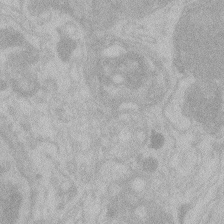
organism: Zebrafish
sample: Macrophage infected with Toxoplasma gondii